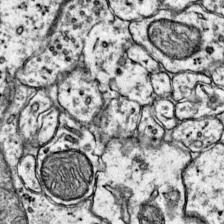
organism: Mouse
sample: Primary visual cortex